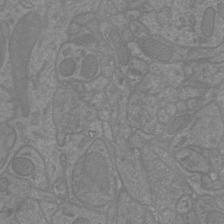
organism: Mouse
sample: Cortical neurons